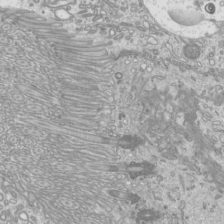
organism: Mouse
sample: Cilia; mouse epididymis